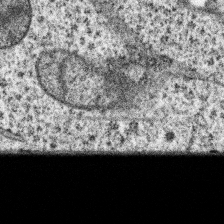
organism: Human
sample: HeLa cells